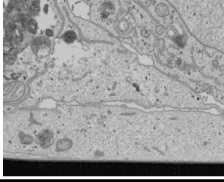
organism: Human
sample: Mitochondria in U2OS cells